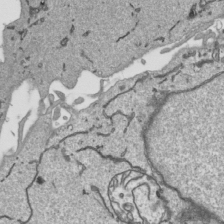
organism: Human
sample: Mitochondria in HCT116 cells